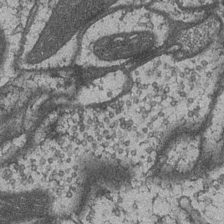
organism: Drosophila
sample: Optic medulla